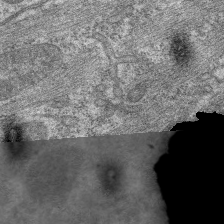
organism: C. elegans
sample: Pharynx